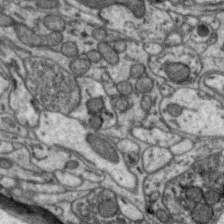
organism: Zebra finch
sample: Brain